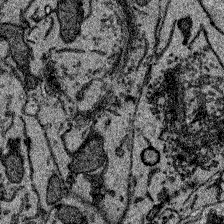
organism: Zebrafish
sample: Larval olfactory bulb